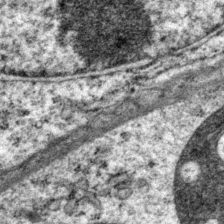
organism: P. pacificus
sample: Pharynx